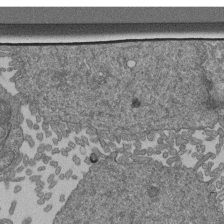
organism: Human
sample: Retinal organoid Rod and Cone cells